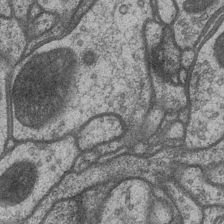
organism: Drosophila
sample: Optic medulla